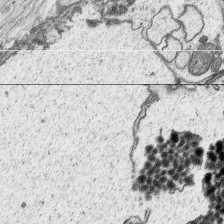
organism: Platynereis dumerilii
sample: Parapodia